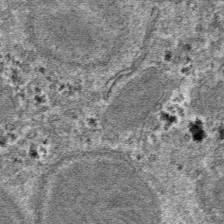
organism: Mouse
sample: Mouse hepatocytes